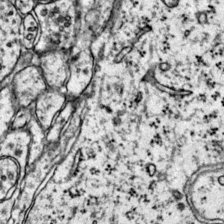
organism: Mouse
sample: Primary visual cortex